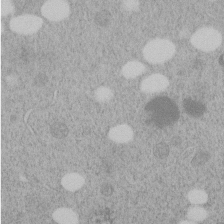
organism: C. elegans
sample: C. elegans embryo early stage